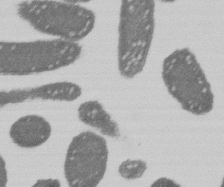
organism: E. coli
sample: Bacterial nucleoid